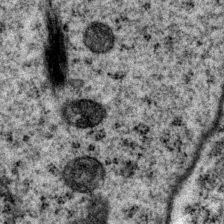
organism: P. pacificus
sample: Pharynx